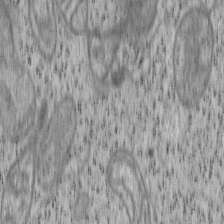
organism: Human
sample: HeLa cells